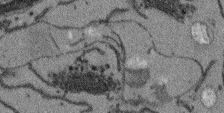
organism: Arabidopsis thaliana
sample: Root tip